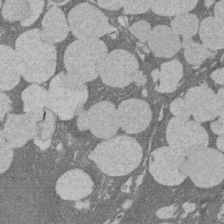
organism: Rat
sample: Salivary granule